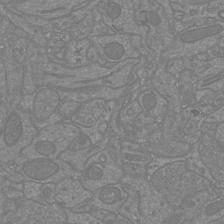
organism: Mouse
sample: Cortical neurons